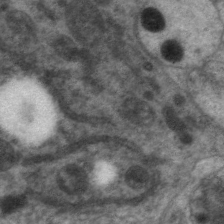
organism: C. elegans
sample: Pharynx